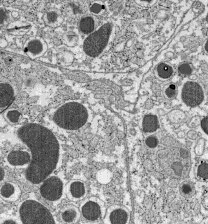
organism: C57BL Mouse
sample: Pancreatic islet